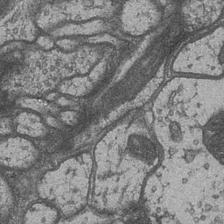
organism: Drosophila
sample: Optic medulla